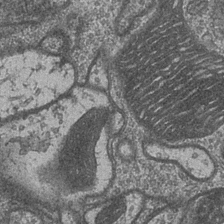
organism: Drosophila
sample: Optic medulla